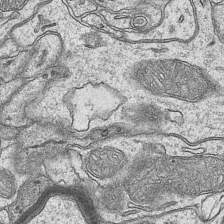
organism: Mouse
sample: CA1 Hippocampus